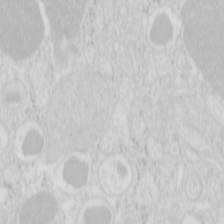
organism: Mouse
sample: Pancreas